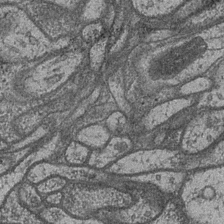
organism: Drosophila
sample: Optic medulla